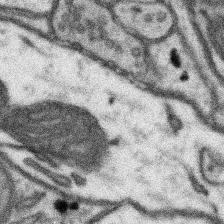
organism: Mouse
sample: Somatosensory cortex neuropil